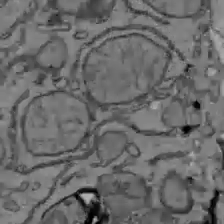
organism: C57BL Mouse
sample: Liver